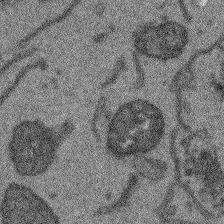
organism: Arabidopsis thaliana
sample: Root tip